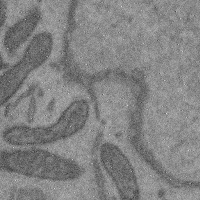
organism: Mouse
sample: Cerebral cortex